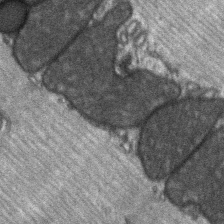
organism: C57BL Mouse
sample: Soleus